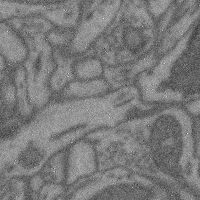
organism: Mouse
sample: Cerebral cortex